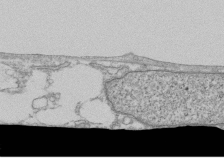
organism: Human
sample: Fibroblast cells